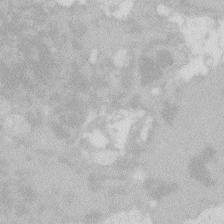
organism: Zebrafish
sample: Macrophage